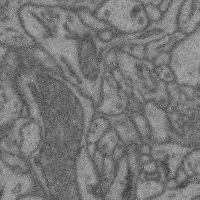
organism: Mouse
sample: Cerebral cortex